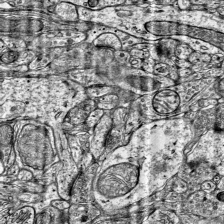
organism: Mouse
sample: Visual Cortex